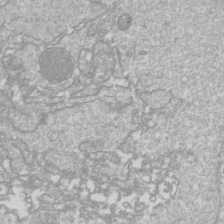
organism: Drosophila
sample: Cell division; meiosis; drosophila spermatocytes